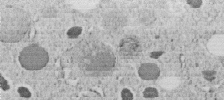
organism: C. elegans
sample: C. elegans embryo early stage